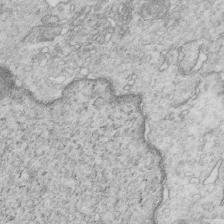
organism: Mouse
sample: Multiciliated cells